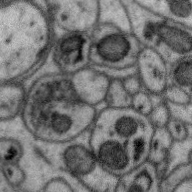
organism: Zebra finch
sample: Brain